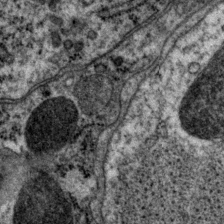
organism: P. pacificus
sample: Pharynx